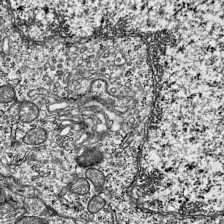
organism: Mouse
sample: Visual Cortex